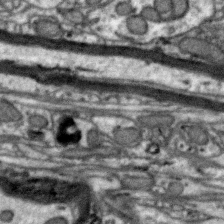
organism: Zebra finch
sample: Brain